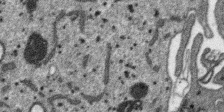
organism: Human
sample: Lung epithelial cells infected with SARS-CoV-2